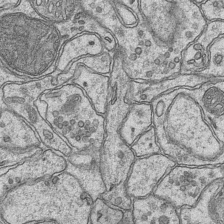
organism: Mouse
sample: CA1 Hippocampus